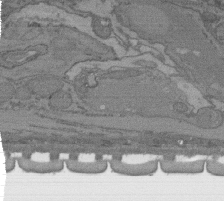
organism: C. elegans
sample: AFD neurons C. elegans